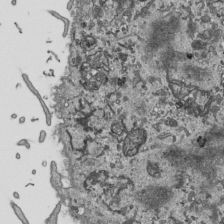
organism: Human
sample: Mitochondria in HCT116 cells